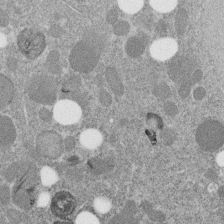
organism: C. elegans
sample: C. elegans embryo early stage